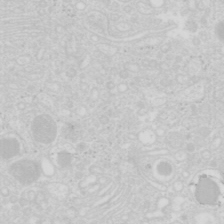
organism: Mouse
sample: Pancreas